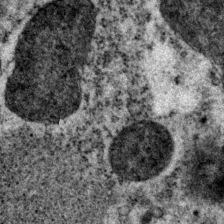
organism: P. pacificus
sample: Pharynx